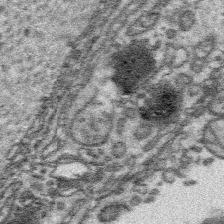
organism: Platynereis dumerilii